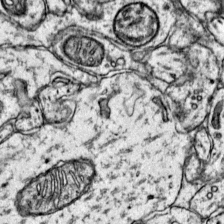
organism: Mouse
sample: Primary visual cortex